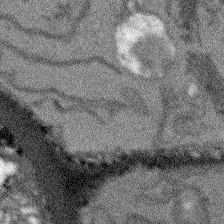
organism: Arabidopsis thaliana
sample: Root tip